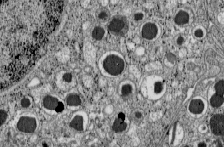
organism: C57BL Mouse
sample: Pancreatic islet